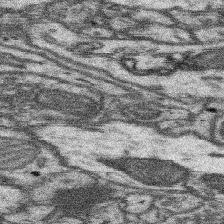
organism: Mouse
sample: Somatosensory cortex neuropil